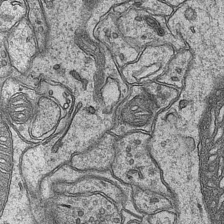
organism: Mouse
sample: CA1 Hippocampus